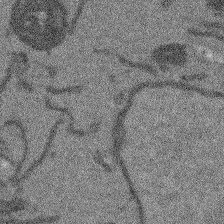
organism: Arabidopsis thaliana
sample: Root tip